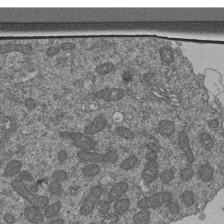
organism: Human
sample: Retinal organoid Rod and Cone cells